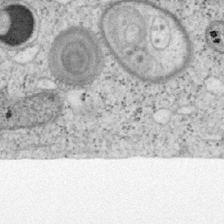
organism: Mouse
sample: OT-I killer T cells with ID8 ovarian cancer cells